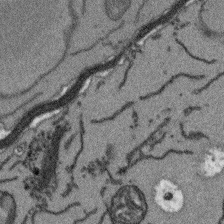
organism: Arabidopsis thaliana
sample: Root tip